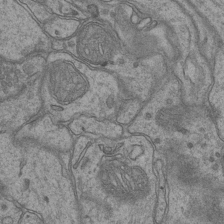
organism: Mouse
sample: CA1 Hippocampus